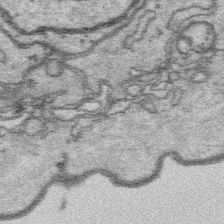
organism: Platynereis dumerilii